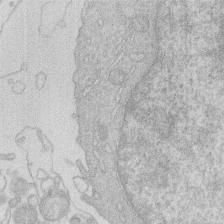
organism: Human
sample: Macrophage cells